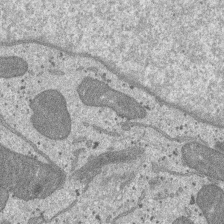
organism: Human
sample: Lung epithelial cells infected with SARS-CoV-2